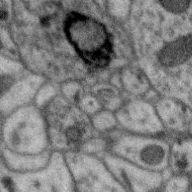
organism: Zebra finch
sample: Brain